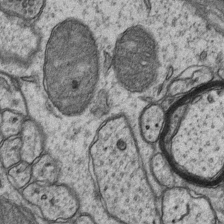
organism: Mouse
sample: CA1 Hippocampus